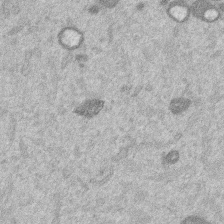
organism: Mouse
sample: Dividing mouse embryo 1 cell stage